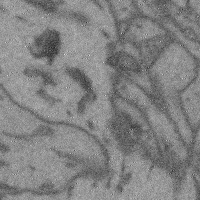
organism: Mouse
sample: Cerebral cortex